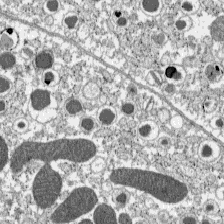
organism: C57BL Mouse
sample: Pancreatic islet